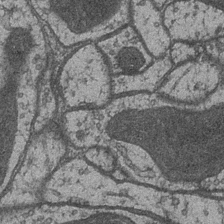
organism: Drosophila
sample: Optic medulla